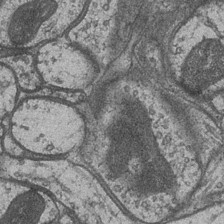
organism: Drosophila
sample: Optic medulla